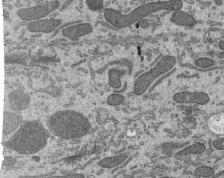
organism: Mouse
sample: Mouse epididymis efferent ductule cilia